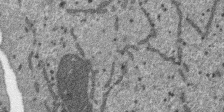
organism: Human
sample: Lung epithelial cells infected with SARS-CoV-2